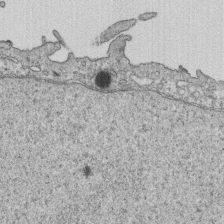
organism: Human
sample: HeLa cell HIV synapse